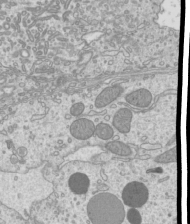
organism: Mouse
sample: Cilia; mouse epididymis